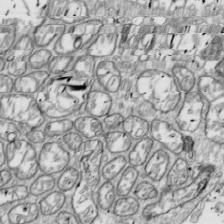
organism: Drosophila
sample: Cell division; meiosis; drosophila spermatocytes